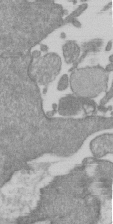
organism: Mouse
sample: ED-1 cell nuclei; centrioles